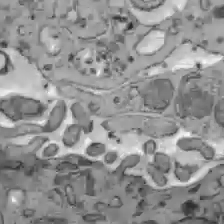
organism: C57BL Mouse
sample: Liver